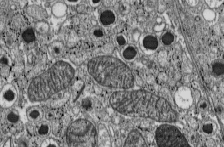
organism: C57BL Mouse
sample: Pancreatic islet